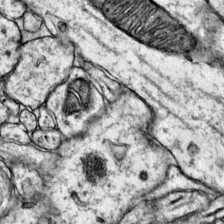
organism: Mouse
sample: Primary visual cortex